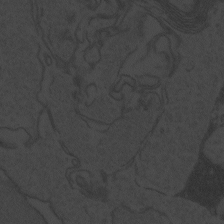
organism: Zebrafish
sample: Macrophage infected with Toxoplasma gondii